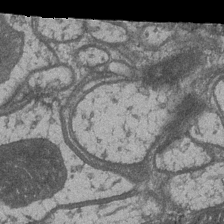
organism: Drosophila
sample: Optic medulla